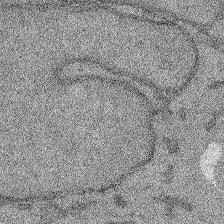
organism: Human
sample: HeLa cells